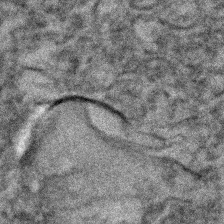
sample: Kidney